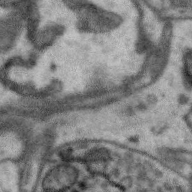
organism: Zebra finch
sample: Brain